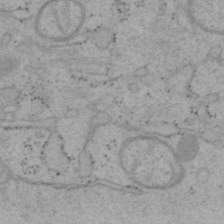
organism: Human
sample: HeLa cells